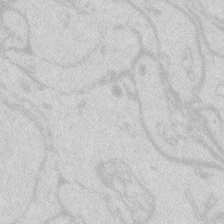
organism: Zebrafish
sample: Macrophage